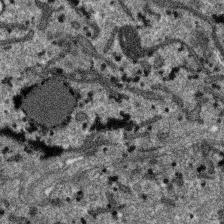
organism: Human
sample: Lung epithelial cells infected with SARS-CoV-2